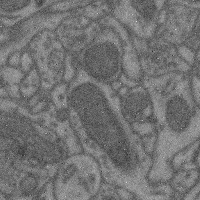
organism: Mouse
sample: Cerebral cortex